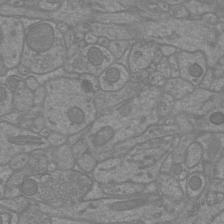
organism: Mouse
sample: Cortical neurons